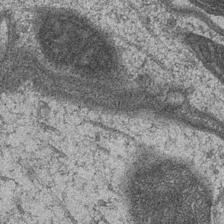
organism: Drosophila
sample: Optic medulla